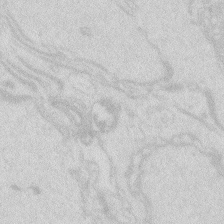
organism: Zebrafish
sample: Macrophage